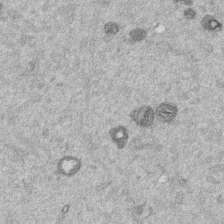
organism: Mouse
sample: Dividing mouse embryo 1 cell stage